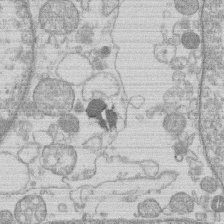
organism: Human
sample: Macrophage cells